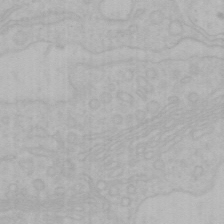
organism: Mouse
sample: Choroid plexus